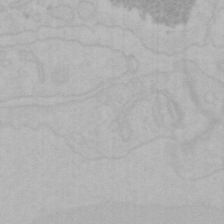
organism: Mouse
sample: Choroid plexus